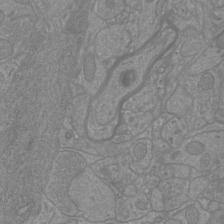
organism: Mouse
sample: Cortical neurons